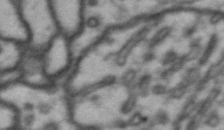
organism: Drosophila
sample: Brain